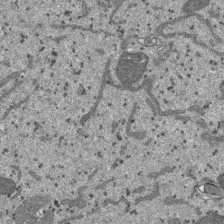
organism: Human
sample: Lung epithelial cells infected with SARS-CoV-2